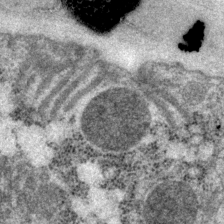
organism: P. pacificus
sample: Pharynx